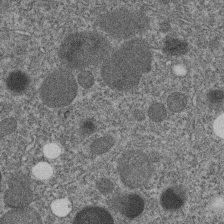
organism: C. elegans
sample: C. elegans embryo early stage